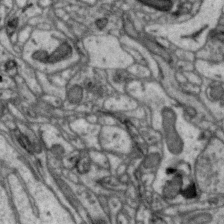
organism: Zebra finch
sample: Brain